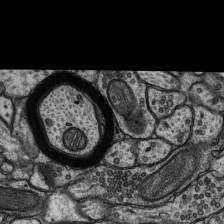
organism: Rat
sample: Hippocampus